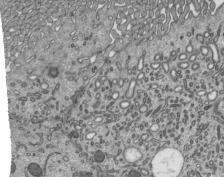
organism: Mouse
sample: Mouse epididymis efferent ductule cilia